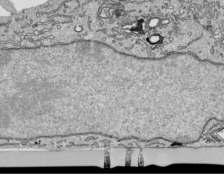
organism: Human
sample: Mitochondria in HCT116 cells